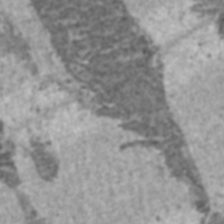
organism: C57BL Mouse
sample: Heart